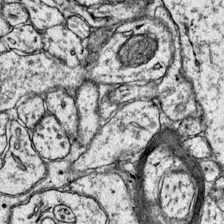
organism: Mouse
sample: Primary visual cortex